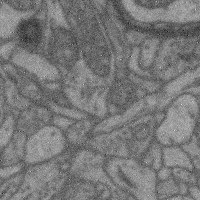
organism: Mouse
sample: Cerebral cortex